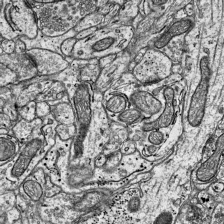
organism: Mouse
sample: Visual Cortex